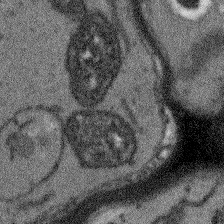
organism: Arabidopsis thaliana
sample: Root tip